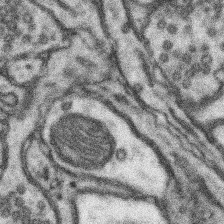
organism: Mouse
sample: Somatosensory cortex neuropil